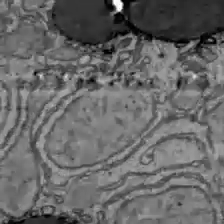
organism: C57BL Mouse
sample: Liver